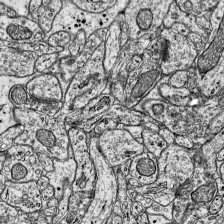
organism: Mouse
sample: Visual Cortex